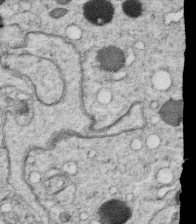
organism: C. elegans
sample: C. elegans oocyte; sperm cells